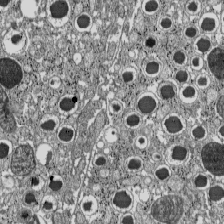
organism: C57BL Mouse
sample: Pancreatic islet